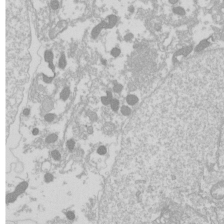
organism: Drosophila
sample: Cell division; meiosis; drosophila spermatocytes